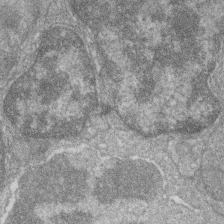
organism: Zebrafish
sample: Cilia; retinal pigment epithelium